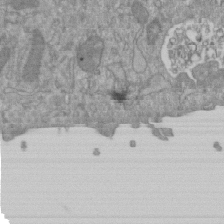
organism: Mouse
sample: ED-1 cell nuclei; centrioles